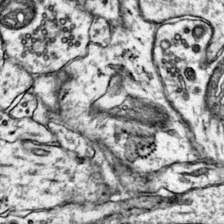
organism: Mouse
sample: Primary visual cortex